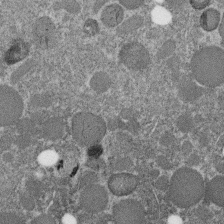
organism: C. elegans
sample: C. elegans embryo early stage